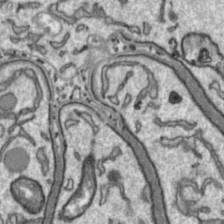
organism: Toxoplasma gondii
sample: Parasites in a vacuole inside a host cell